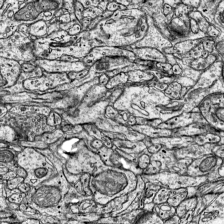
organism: Mouse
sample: Visual Cortex